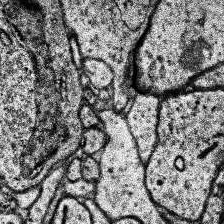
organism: Human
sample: Temporal Lobe